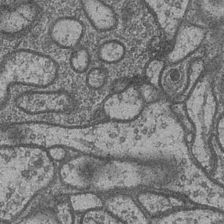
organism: Drosophila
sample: Optic medulla